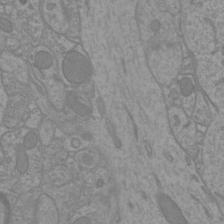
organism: Mouse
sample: Cortical neurons